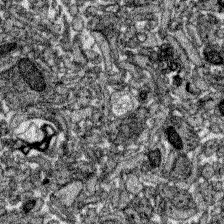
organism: Zebrafish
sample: Larval olfactory bulb